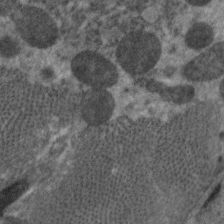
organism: C. elegans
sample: Pharynx